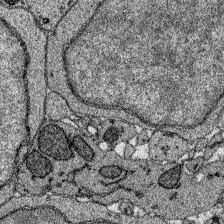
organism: Zebrafish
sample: Larval olfactory bulb